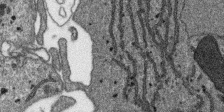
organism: Human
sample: Lung epithelial cells infected with SARS-CoV-2